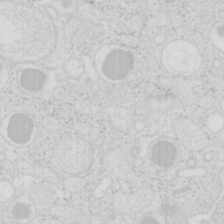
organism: Mouse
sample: Pancreas